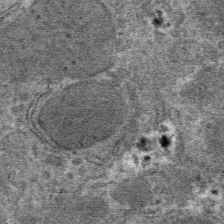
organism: Mouse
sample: Mouse hepatocytes